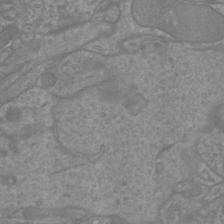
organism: Mouse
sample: Cortical neurons